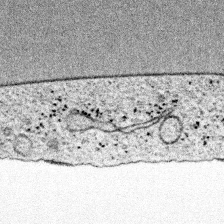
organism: Human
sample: HeLa cells